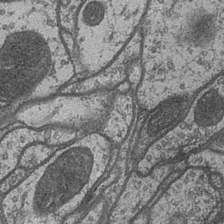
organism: Drosophila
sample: Optic medulla